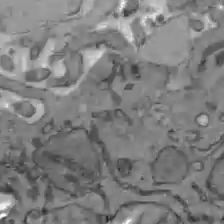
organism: C57BL Mouse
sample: Liver